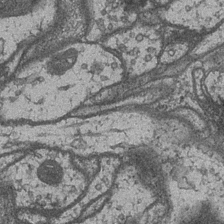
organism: Drosophila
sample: Optic medulla